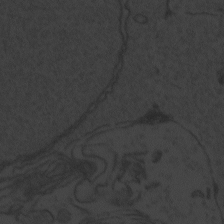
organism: Zebrafish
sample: Macrophage infected with Toxoplasma gondii